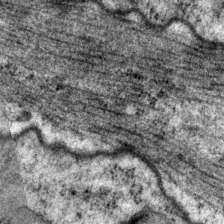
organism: P. pacificus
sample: Pharynx